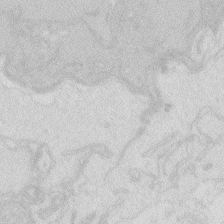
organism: Zebrafish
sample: Macrophage